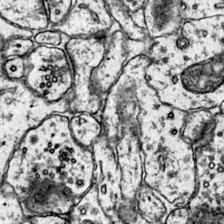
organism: Mouse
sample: Primary visual cortex